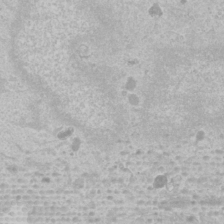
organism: Human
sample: Mitochondria in U2OS cells